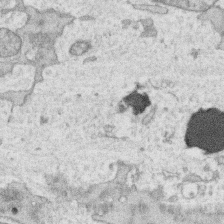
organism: Human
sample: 1205lu cells